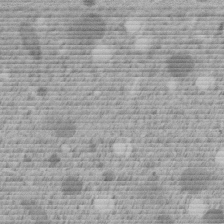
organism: C. elegans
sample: C. elegans embryo early stage